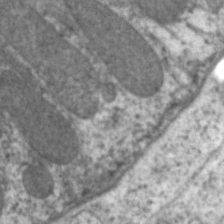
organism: C. elegans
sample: Pharynx